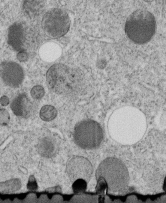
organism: C. elegans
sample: C. elegans embryo early stage